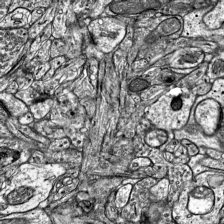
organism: Mouse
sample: Visual Cortex